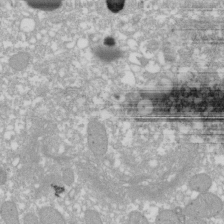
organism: Xenopus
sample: Cilia; centrioles in frog embryo cells